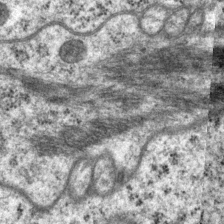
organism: P. pacificus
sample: Pharynx